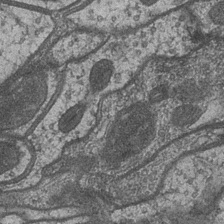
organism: Drosophila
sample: Optic medulla